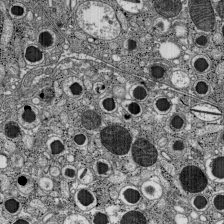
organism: C57BL Mouse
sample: Pancreatic islet